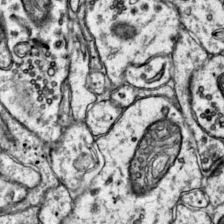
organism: Mouse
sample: Primary visual cortex